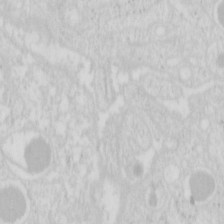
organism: Mouse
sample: Pancreas